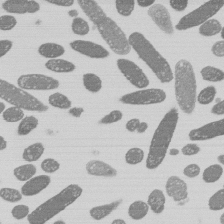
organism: E. coli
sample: Bacterial nucleoid